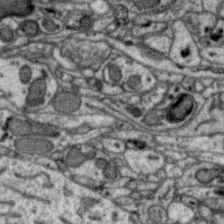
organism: Zebra finch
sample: Brain